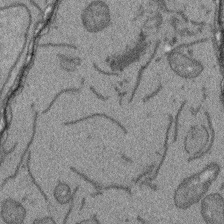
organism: Arabidopsis thaliana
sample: Root tip